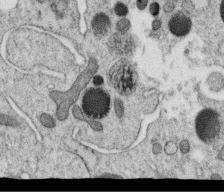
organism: C. elegans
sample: C. elegans oocyte; sperm cells